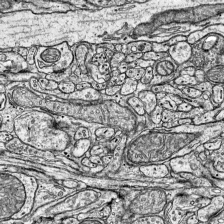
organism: Mouse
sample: Visual Cortex